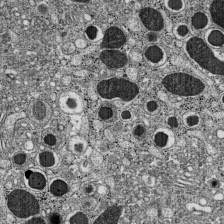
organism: C57BL Mouse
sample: Pancreatic islet